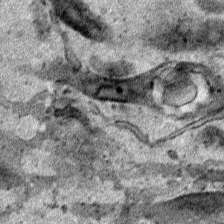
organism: Human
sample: Mitochondria in HCT116 cells